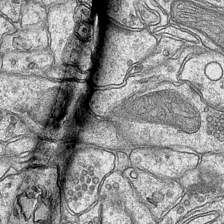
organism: Mouse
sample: CA1 Hippocampus